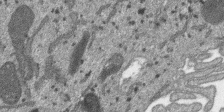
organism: Human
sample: Lung epithelial cells infected with SARS-CoV-2